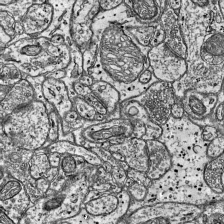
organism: Mouse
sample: Visual Cortex